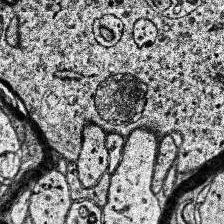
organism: Human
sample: Temporal Lobe